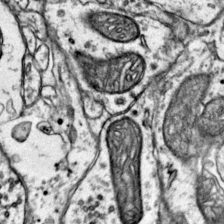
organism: Mouse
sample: Primary visual cortex